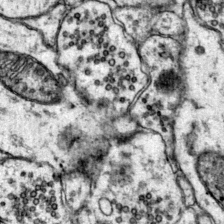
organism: Mouse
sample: Primary visual cortex